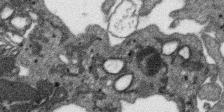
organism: Human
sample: Lung epithelial cells infected with SARS-CoV-2